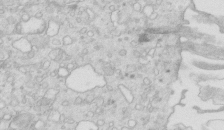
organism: Mouse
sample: Multiciliated cells